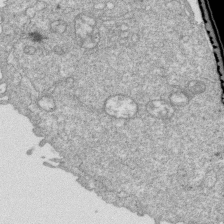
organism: Human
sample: HeLa cell HIV synapse